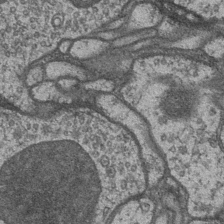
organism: Drosophila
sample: Optic medulla